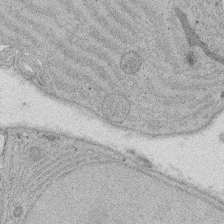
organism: Rat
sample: Salivary granule